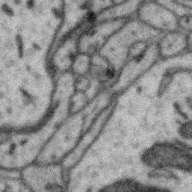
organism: Zebra finch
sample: Brain